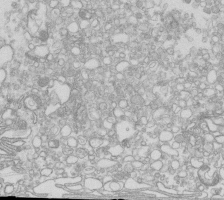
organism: Mouse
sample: Macrophages